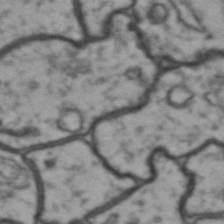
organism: Drosophila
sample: Brain